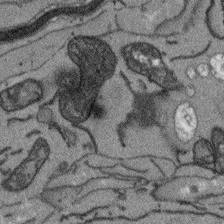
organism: Arabidopsis thaliana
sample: Root tip